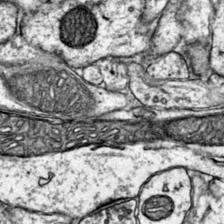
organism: Mouse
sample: Primary visual cortex